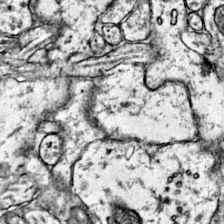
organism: Mouse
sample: Primary visual cortex